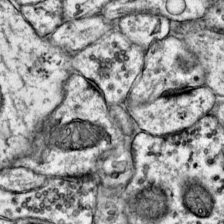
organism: Mouse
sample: Primary visual cortex